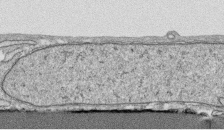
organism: Human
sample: CRL-1474